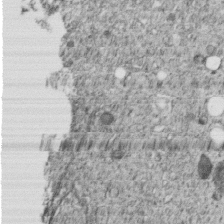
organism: C. elegans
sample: C. elegans embryo early stage